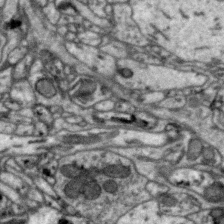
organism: Zebra finch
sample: Brain